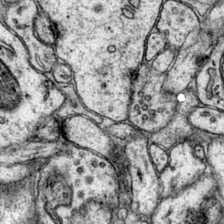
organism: Mouse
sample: Primary visual cortex